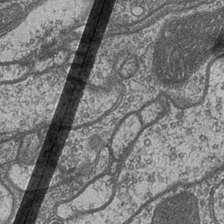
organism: Drosophila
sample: Optic medulla